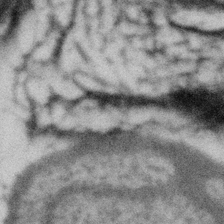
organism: Gemmata obscuriglobus